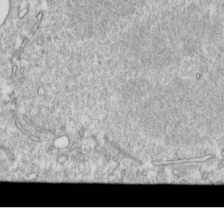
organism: Mouse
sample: Activated OT-1 CD8+ T cells